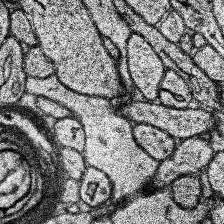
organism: Human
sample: Temporal Lobe